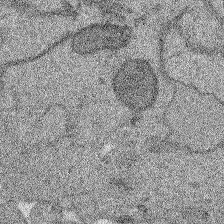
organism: Human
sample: HeLa cells